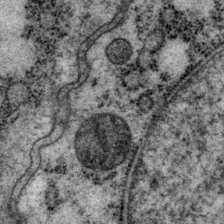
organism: P. pacificus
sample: Pharynx